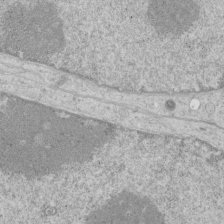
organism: Human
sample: Mitochondria in HCT116 cells